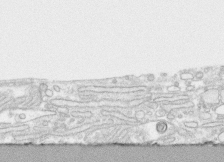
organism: Human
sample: CRL-1474